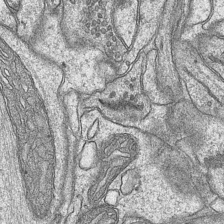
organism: Mouse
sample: CA1 Hippocampus